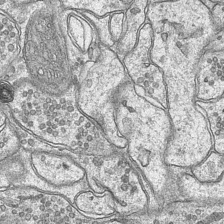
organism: Mouse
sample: CA1 Hippocampus